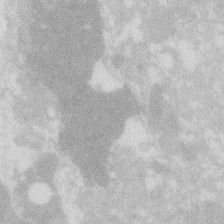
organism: Zebrafish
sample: Macrophage